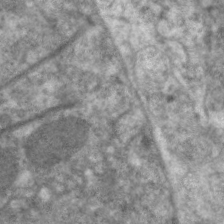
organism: C. elegans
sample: Pharynx